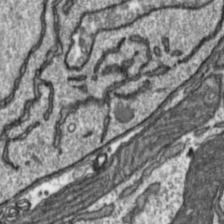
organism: Toxoplasma gondii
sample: Parasites in a vacuole inside a host cell